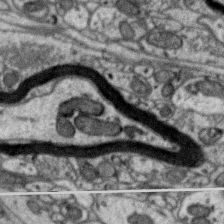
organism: Zebra finch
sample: Brain